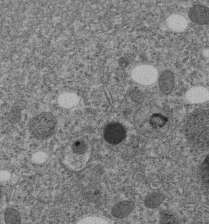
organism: C. elegans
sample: C. elegans embryo early stage